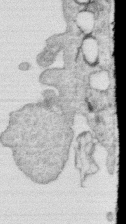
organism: Human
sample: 1205lu cells